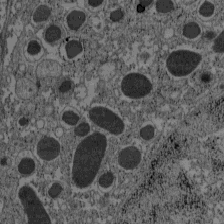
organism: C57BL Mouse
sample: Pancreatic islet